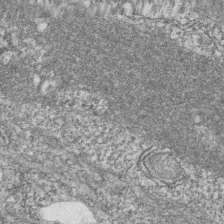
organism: Zebrafish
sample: Cilia; retinal pigment epithelium